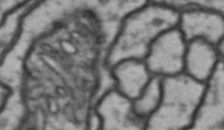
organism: Drosophila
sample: Brain